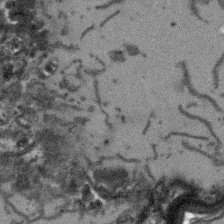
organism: Arabidopsis thaliana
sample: Root tip